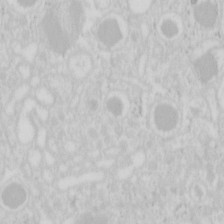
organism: Mouse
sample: Pancreas